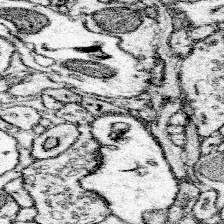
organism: Mouse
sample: Somatosensory cortex neuropil